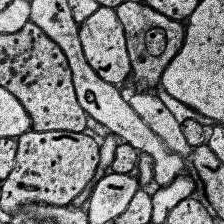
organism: Human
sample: Temporal Lobe